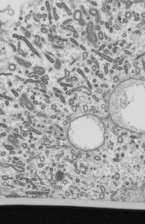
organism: Mouse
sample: Mouse epididymis efferent ductule cilia